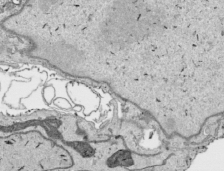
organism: Human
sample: Mitochondria in HCT116 cells